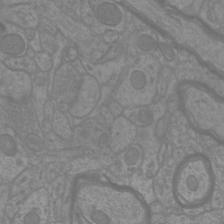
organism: Mouse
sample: Cortical neurons